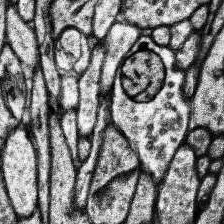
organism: Human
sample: Temporal Lobe